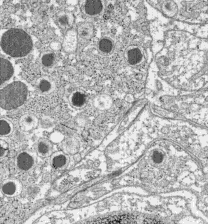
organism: C57BL Mouse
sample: Pancreatic islet